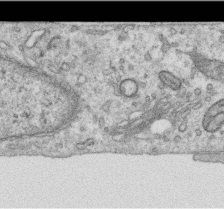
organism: Human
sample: Centriole in RPE cells